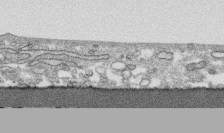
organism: Human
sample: CRL-1474